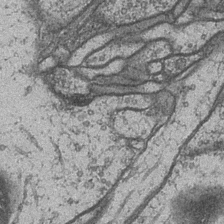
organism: Drosophila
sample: Optic medulla